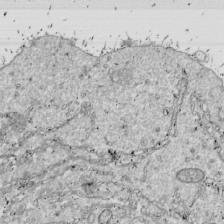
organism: Drosophila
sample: Cell division; meiosis; drosophila spermatocytes